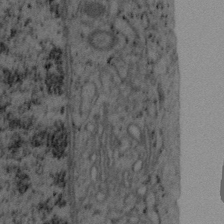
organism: Human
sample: HeLa cells